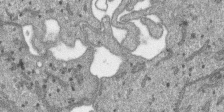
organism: Human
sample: Lung epithelial cells infected with SARS-CoV-2